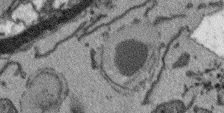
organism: Arabidopsis thaliana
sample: Root tip